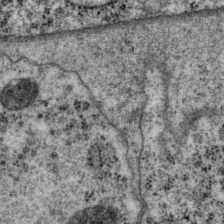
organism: P. pacificus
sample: Pharynx